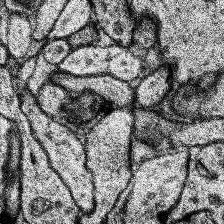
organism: Human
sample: Temporal Lobe